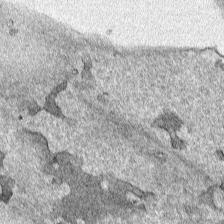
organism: Human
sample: Mitochondria in HCT116 cells